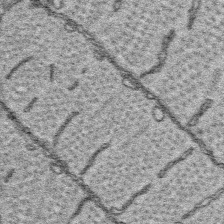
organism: Platynereis dumerilii